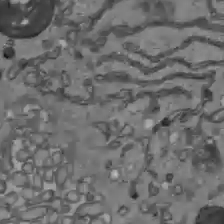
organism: C57BL Mouse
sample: Liver